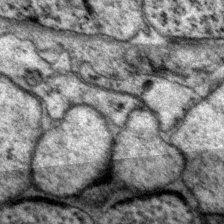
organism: P. pacificus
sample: Pharynx